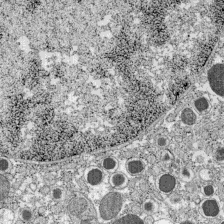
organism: C57BL Mouse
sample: Pancreatic islet